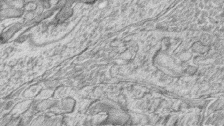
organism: Zebrafish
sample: synaptic ribbons in rod cells and cone cells